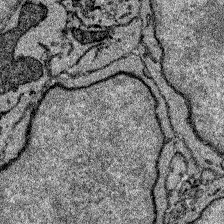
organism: Zebrafish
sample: Larval olfactory bulb